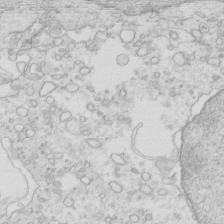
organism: Mouse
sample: Multiciliated cells